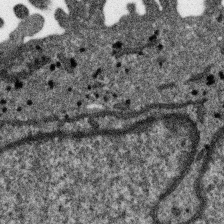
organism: Human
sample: Lung epithelial cells infected with SARS-CoV-2